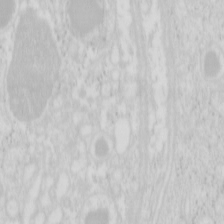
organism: Mouse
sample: Pancreas